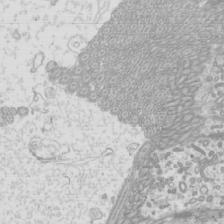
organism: Mouse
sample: Cilia; mouse epididymis